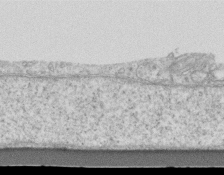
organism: Mouse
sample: Centriole in ependymal cells